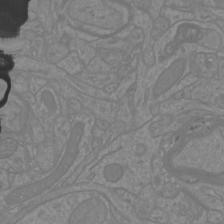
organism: Mouse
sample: Cortical neurons